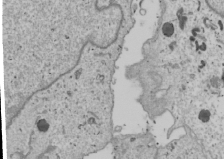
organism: Human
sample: Mitochondria in U2OS cells